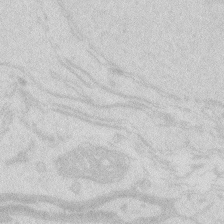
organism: Zebrafish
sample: Macrophage